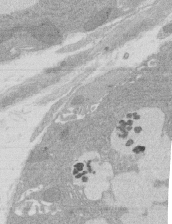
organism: Rat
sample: Salivary granule